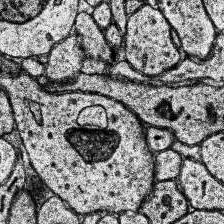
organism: Human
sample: Temporal Lobe